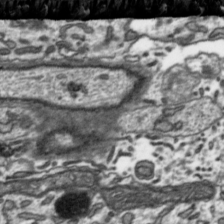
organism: Toxoplasma gondii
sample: Parasites in a vacuole inside a host cell